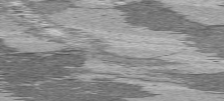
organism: C57BL Mouse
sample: Heart